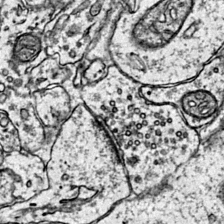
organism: Mouse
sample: Primary visual cortex